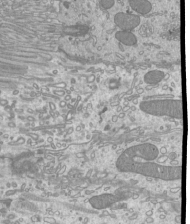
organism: Mouse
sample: Cilia; mouse epididymis